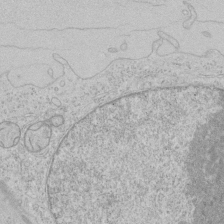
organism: Human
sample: Mitochondria in HCT116 cells